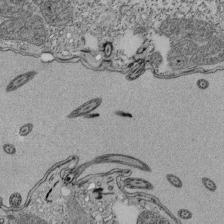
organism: Tetrahymena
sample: Cilia in tetrahymena